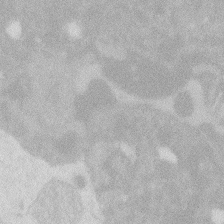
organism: Zebrafish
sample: Macrophage